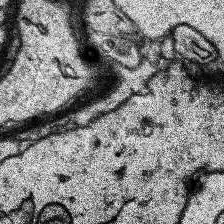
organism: Human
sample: Temporal Lobe